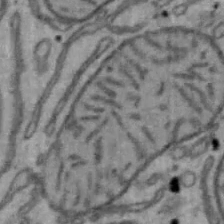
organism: Mouse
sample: Liver